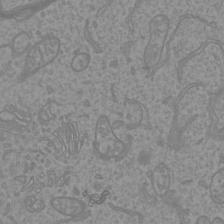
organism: Mouse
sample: Cortical neurons